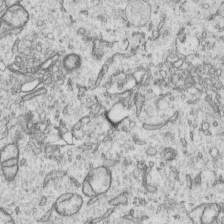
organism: Human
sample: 1205lu cells